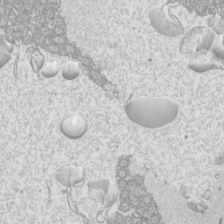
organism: Mouse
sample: Cilia; mouse epididymis